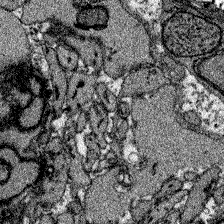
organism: Zebrafish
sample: Larval olfactory bulb